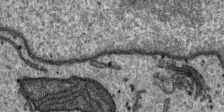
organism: Human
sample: Lung epithelial cells, uninfected (mock) control